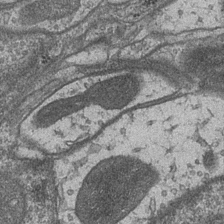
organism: Drosophila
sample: Optic medulla